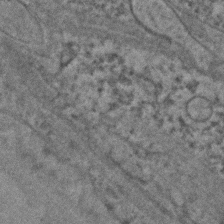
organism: C. elegans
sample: C. elegans embryo